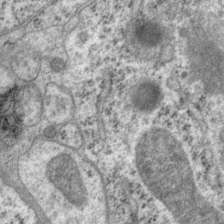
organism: P. pacificus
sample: Pharynx